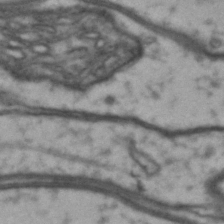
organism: Drosophila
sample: Brain